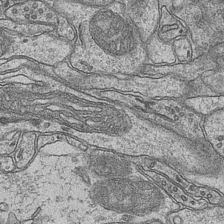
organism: Mouse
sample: CA1 Hippocampus